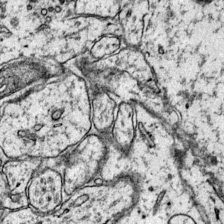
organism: Mouse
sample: Primary visual cortex